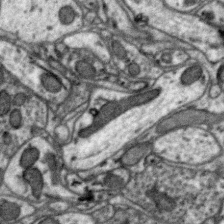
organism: Zebra finch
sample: Brain